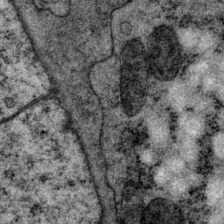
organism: P. pacificus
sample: Pharynx